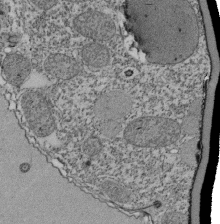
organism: Tetrahymena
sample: Cilia in tetrahymena